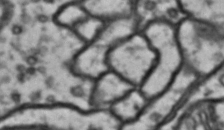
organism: Drosophila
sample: Brain